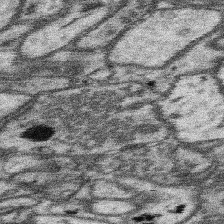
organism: Mouse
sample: Somatosensory cortex neuropil